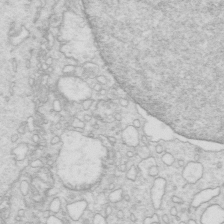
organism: Mouse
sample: Multiciliated cells